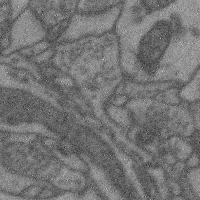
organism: Mouse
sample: Cerebral cortex